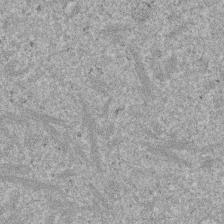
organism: Mouse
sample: Dividing mouse embryo 1 cell stage